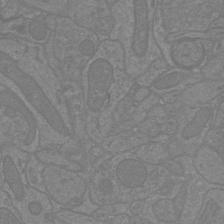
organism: Mouse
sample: Cortical neurons